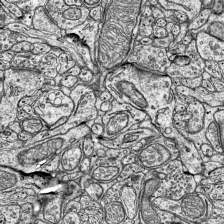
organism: Mouse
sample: Visual Cortex